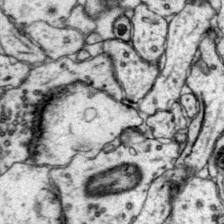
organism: Mouse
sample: Primary visual cortex